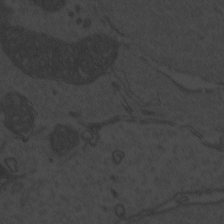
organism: Zebrafish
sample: Macrophage infected with Toxoplasma gondii